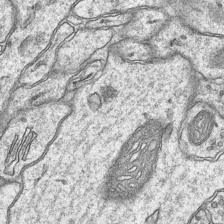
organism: Mouse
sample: CA1 Hippocampus